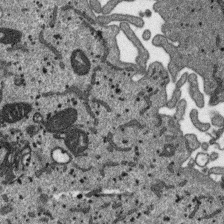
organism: Human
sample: Lung epithelial cells infected with SARS-CoV-2